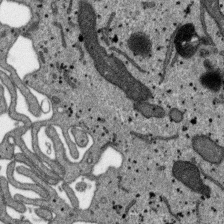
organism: Human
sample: Lung epithelial cells, uninfected (mock) control